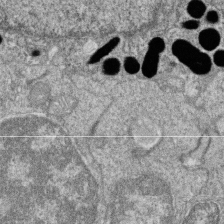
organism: Zebrafish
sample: Cilia; retinal pigment epithelium